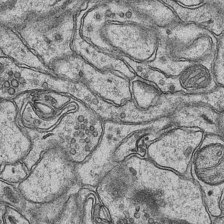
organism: Mouse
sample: CA1 Hippocampus